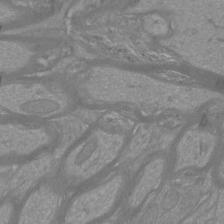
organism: Mouse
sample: Cortical neurons